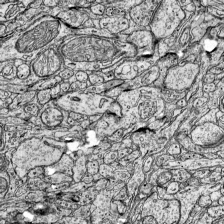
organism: Mouse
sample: Visual Cortex